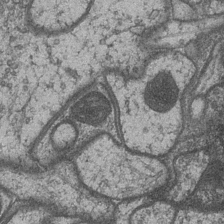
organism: Drosophila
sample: Optic medulla